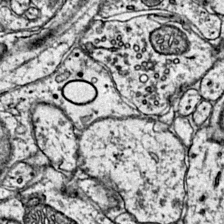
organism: Mouse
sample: Primary visual cortex